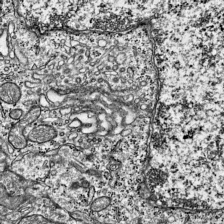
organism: Mouse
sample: Visual Cortex